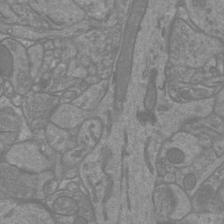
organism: Mouse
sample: Cortical neurons